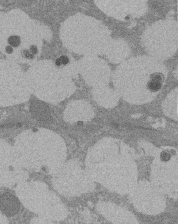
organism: Rat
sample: Salivary granule